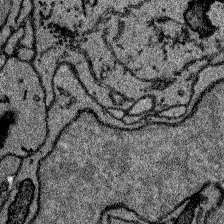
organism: Zebrafish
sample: Larval olfactory bulb